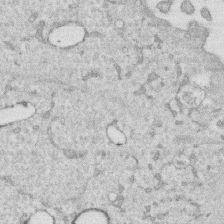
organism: Human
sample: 1205lu cells